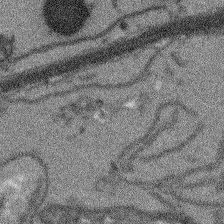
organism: Arabidopsis thaliana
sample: Root tip